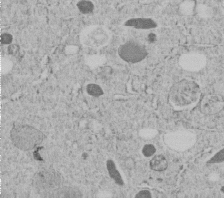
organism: C. elegans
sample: C. elegans embryo early stage